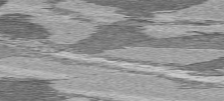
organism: C57BL Mouse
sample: Heart